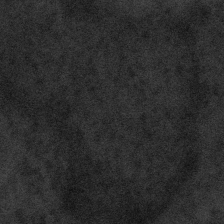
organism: Tuwongella immobilis